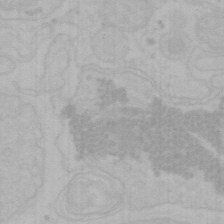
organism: Mouse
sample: Choroid plexus